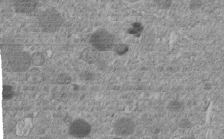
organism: C. elegans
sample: C. elegans embryo early stage